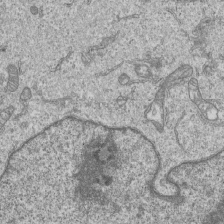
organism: Human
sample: MDA-MB-231 cells